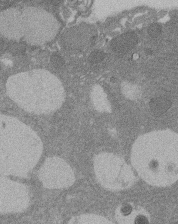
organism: Rat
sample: Salivary granule